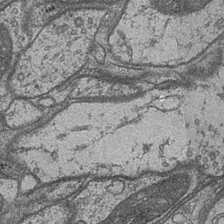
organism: Drosophila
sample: Optic medulla